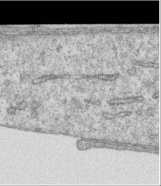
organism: Human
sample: Centriole in RPE cells